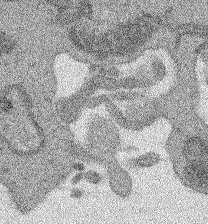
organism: Human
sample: HeLa cells